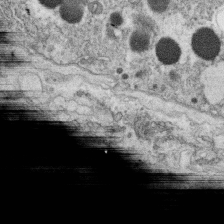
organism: C. elegans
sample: C. elegans oocyte; sperm cells